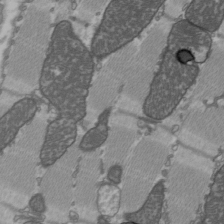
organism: C57BL Mouse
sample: Heart